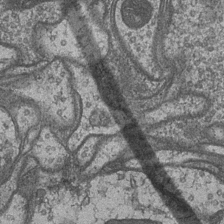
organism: Drosophila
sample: Optic medulla